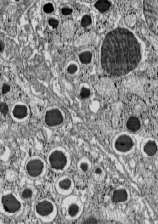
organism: C57BL Mouse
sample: Pancreatic islet